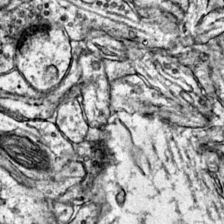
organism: Mouse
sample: Primary visual cortex